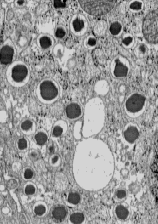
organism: C57BL Mouse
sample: Pancreatic islet